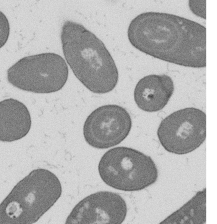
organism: B. subtilis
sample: Bacterial spore